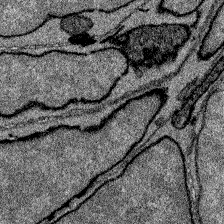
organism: Zebrafish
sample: Larval olfactory bulb